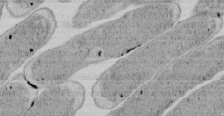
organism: E. coli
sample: Bacterial nucleoid